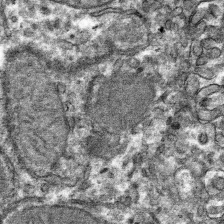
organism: Mouse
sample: Mouse hepatocytes